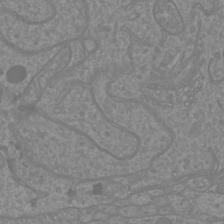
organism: Mouse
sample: Cortical neurons